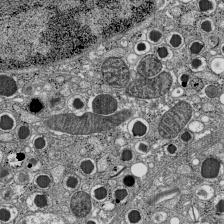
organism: C57BL Mouse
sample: Pancreatic islet